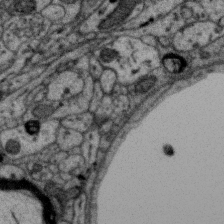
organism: Zebra finch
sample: Brain